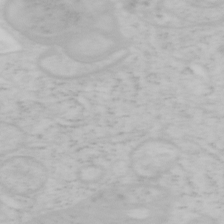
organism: Mouse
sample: OT-I killer T cells with ID8 ovarian cancer cells